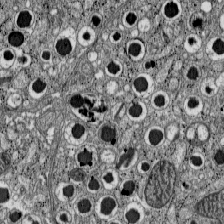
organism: C57BL Mouse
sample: Pancreatic islet